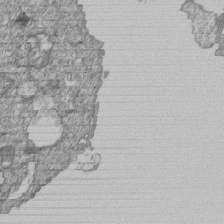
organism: Human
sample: MDA-MB-231 cells